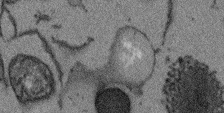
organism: Arabidopsis thaliana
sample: Root tip